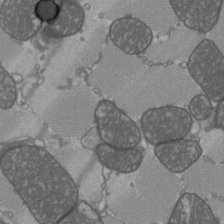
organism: C57BL Mouse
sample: Heart